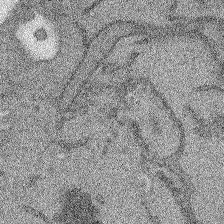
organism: Human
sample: HeLa cells